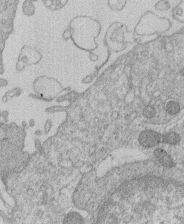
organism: Human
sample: Macrophage cells